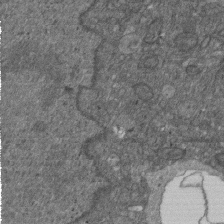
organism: Drosophila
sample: Nephrocyte